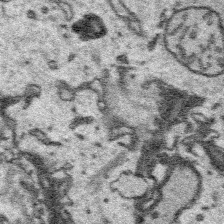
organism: Platynereis dumerilii